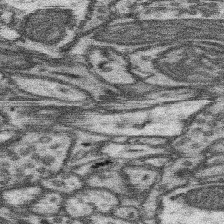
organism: Mouse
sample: Somatosensory cortex neuropil